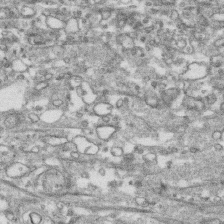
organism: Human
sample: CRL-1474